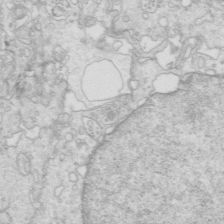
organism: Mouse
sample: Multiciliated cells